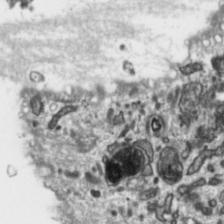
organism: Toxoplasma gondii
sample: Parasites in a vacuole inside a host cell